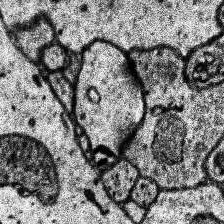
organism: Human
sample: Temporal Lobe